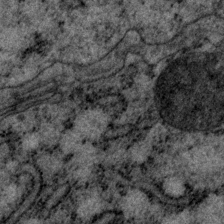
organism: P. pacificus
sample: Pharynx